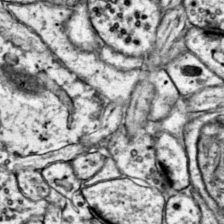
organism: Mouse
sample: Primary visual cortex